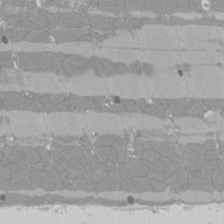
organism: Rat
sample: Left ventricle